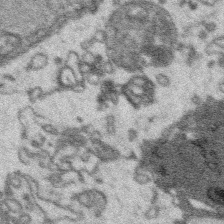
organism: Platynereis dumerilii